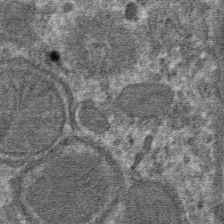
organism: Mouse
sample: Mouse hepatocytes